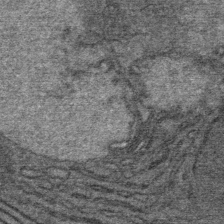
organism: Mouse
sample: Mouse Salivary gland